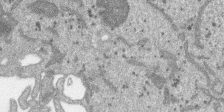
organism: Human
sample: Lung epithelial cells infected with SARS-CoV-2